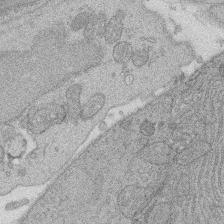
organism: Rat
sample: Salivary granule